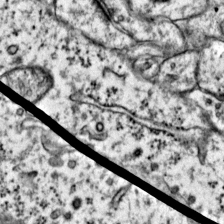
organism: Mouse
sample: Primary visual cortex